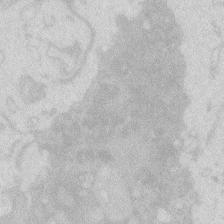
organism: Zebrafish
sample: Macrophage